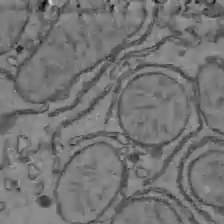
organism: C57BL Mouse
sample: Liver